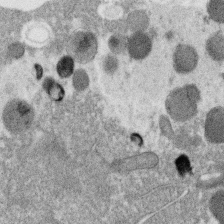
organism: C. elegans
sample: C. elegans oocyte; sperm cells